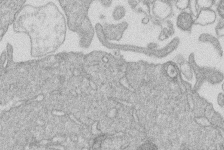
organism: Human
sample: Macrophage cells